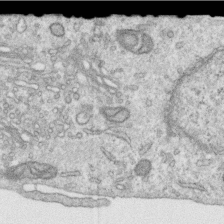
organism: Human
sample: Centriole in RPE cells